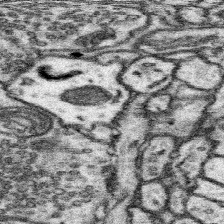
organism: Mouse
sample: Somatosensory cortex neuropil